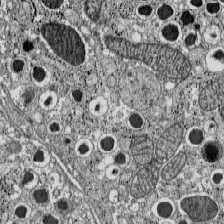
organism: C57BL Mouse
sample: Pancreatic islet